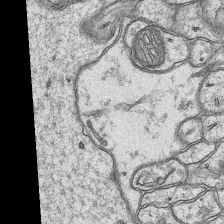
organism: Mouse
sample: CA1 Hippocampus